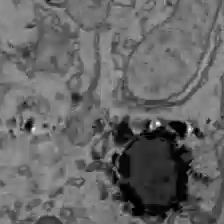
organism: C57BL Mouse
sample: Liver